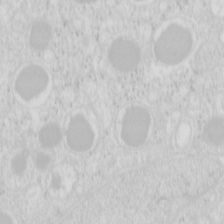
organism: Mouse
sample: Pancreas